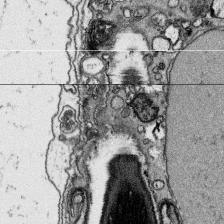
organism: Platynereis dumerilii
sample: Parapodia